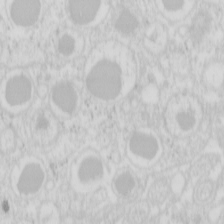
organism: Mouse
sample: Pancreas